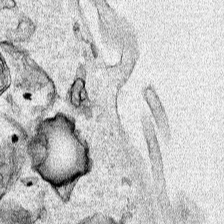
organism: Human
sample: Mitochondria in HCT116 cells